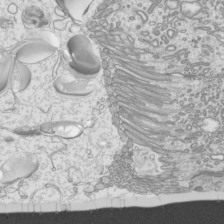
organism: Mouse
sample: Cilia; mouse epididymis